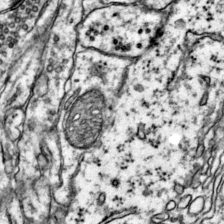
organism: Mouse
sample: Primary visual cortex